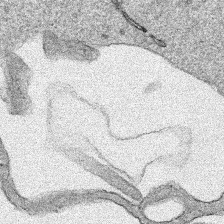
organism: Human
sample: Mitochondria in HCT116 cells